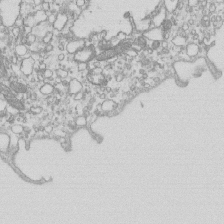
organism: Mouse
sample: Macrophages